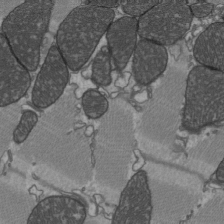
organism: C57BL Mouse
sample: Heart